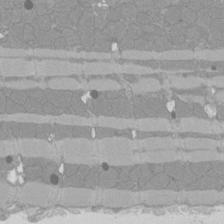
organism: Rat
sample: Left ventricle